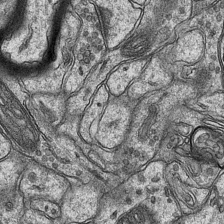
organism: Mouse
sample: CA1 Hippocampus